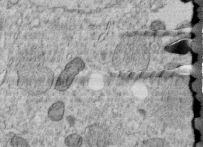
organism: C. elegans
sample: C. elegans embryo early stage